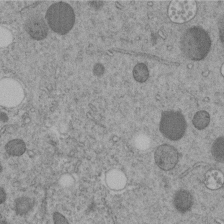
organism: C. elegans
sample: C. elegans embryo early stage